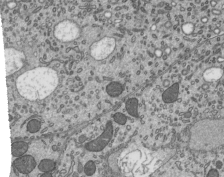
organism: Mouse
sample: Mouse epididymis efferent ductule cilia